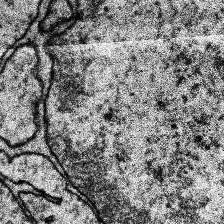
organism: Human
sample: Temporal Lobe